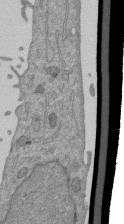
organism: Mouse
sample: ED-1 cell nuclei; centrioles